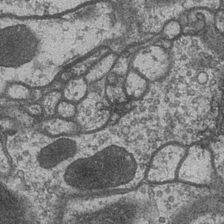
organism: Drosophila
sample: Optic medulla